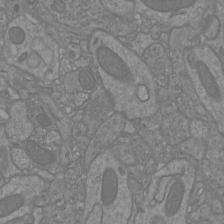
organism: Mouse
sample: Cortical neurons